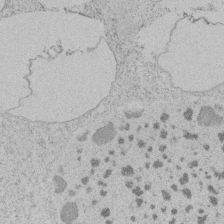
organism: Tetrahymena